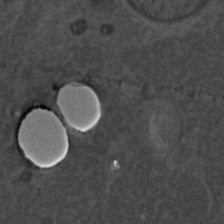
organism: C. elegans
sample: C. elegans embryo